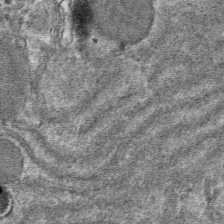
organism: Mouse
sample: Mouse hepatocytes